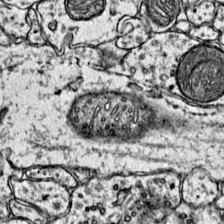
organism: Mouse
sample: Primary visual cortex